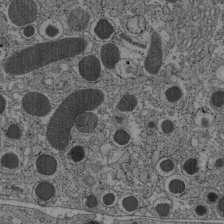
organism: C57BL Mouse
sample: Pancreatic islet